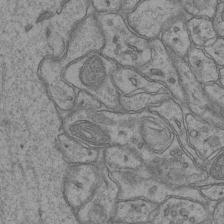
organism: Mouse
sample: CA1 Hippocampus